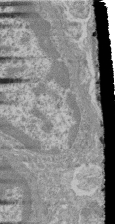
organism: Mouse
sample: Glomerulus